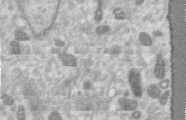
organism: Human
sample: Centriole in RPE cells